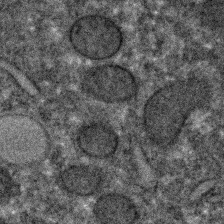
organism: C. elegans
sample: C. elegans embryo